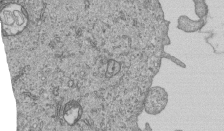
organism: Human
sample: MDA-MB-231 cells